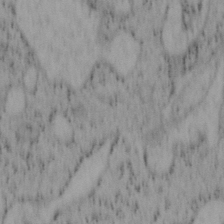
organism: Mouse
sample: OT-I killer T cells with ID8 ovarian cancer cells